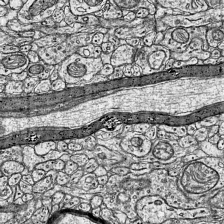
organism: Mouse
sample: Visual Cortex